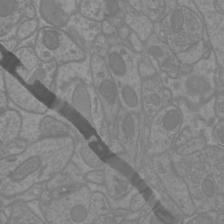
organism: Mouse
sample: Cortical neurons